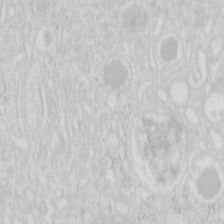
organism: Mouse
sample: Pancreas